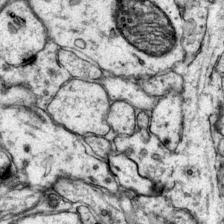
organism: Mouse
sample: Primary visual cortex